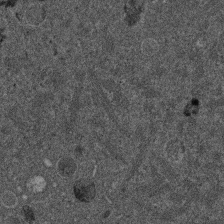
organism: Mouse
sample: Dividing mouse embryo 1 cell stage